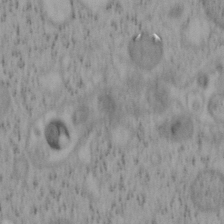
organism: Mouse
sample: OT-I killer T cells with ID8 ovarian cancer cells